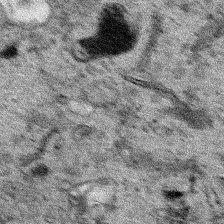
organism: Human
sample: Mitochondria in HCT116 cells